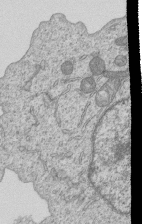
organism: Human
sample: MDA-MB-231 cells